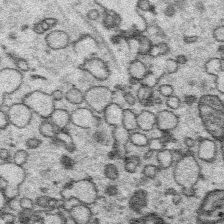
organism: Platynereis dumerilii